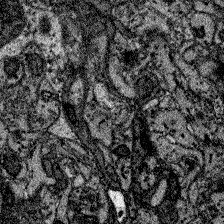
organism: Zebrafish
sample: Larval olfactory bulb